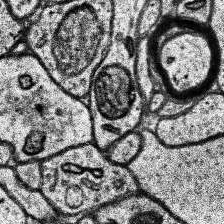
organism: Human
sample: Temporal Lobe